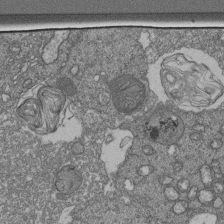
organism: Human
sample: Retinal organoid Rod and Cone cells